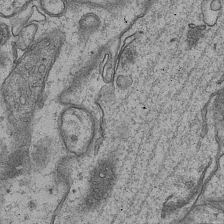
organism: Mouse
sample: CA1 Hippocampus